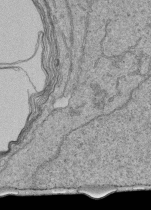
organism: Human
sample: Retinal organoid Rod and Cone cells